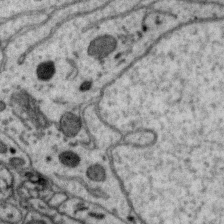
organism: Zebra finch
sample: Brain